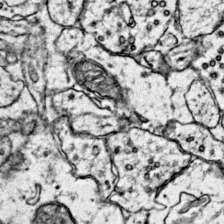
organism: Mouse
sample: Primary visual cortex